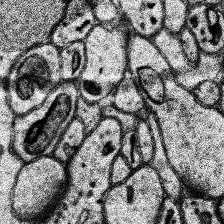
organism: Human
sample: Temporal Lobe